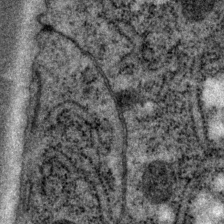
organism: P. pacificus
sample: Pharynx